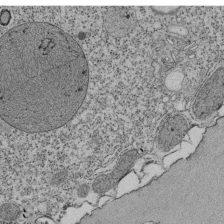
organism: Tetrahymena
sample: Cilia in tetrahymena